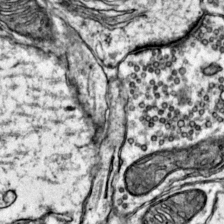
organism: Mouse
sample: Primary visual cortex